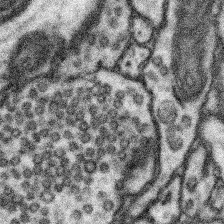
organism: Mouse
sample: Somatosensory cortex neuropil